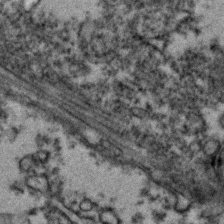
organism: Zebrafish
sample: Zebrafish embryo